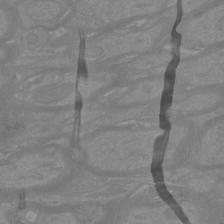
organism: Mouse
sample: Cortical neurons